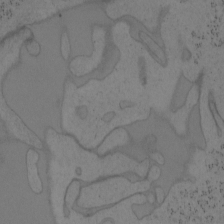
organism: Mouse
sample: OT-I killer T cells with ID8 ovarian cancer cells